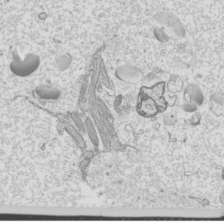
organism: Mouse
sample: Cilia; mouse epididymis